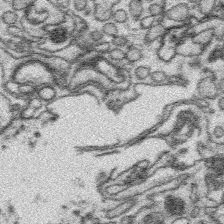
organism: Platynereis dumerilii